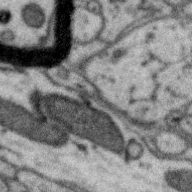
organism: Zebra finch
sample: Brain